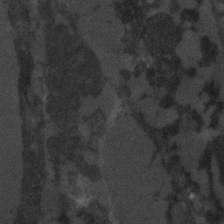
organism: C. elegans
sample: C. elegans embryo